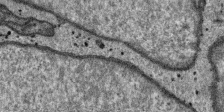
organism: Human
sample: Lung epithelial cells, uninfected (mock) control